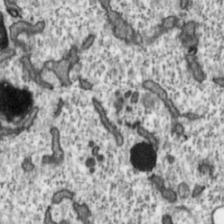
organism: Toxoplasma gondii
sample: Parasites in a vacuole inside a host cell